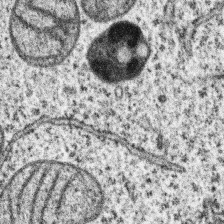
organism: Human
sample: HeLa cells